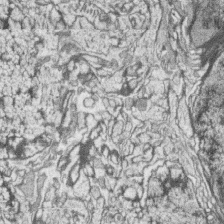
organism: Zebrafish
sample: synaptic ribbons in rod cells and cone cells